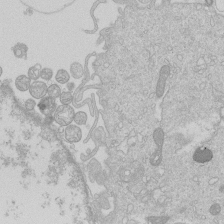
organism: Human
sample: Macrophage cells